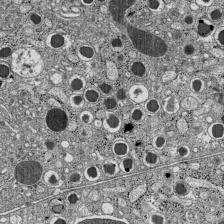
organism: C57BL Mouse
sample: Pancreatic islet